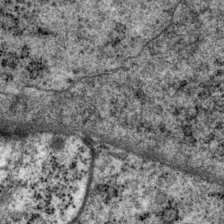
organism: P. pacificus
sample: Pharynx